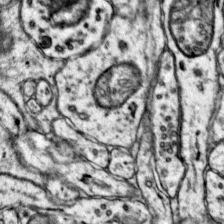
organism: Mouse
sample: Primary visual cortex